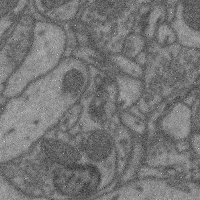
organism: Mouse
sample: Cerebral cortex